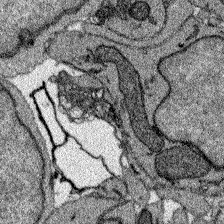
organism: Zebrafish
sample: Larval olfactory bulb